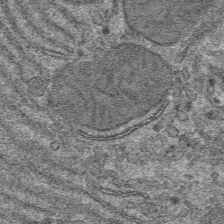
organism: Mouse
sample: Mouse hepatocytes